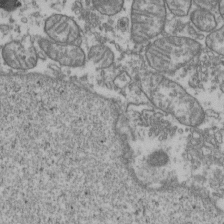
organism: Human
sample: Activated Jurkat CD4+ T cells